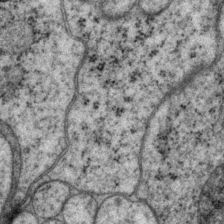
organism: P. pacificus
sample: Pharynx